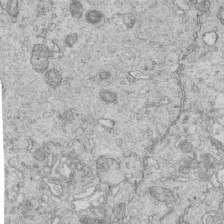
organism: Mouse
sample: Multiciliated cells